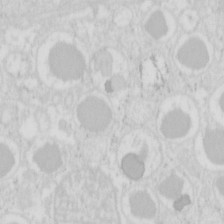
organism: Mouse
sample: Pancreas